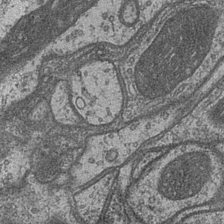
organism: Drosophila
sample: Optic medulla